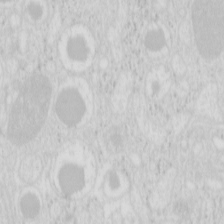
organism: Mouse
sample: Pancreas